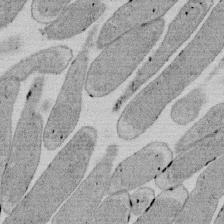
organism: E. coli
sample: Bacterial nucleoid